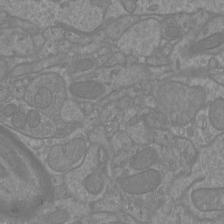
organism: Mouse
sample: Cortical neurons